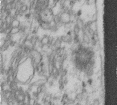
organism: Human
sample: Centriole in fibroblast cells